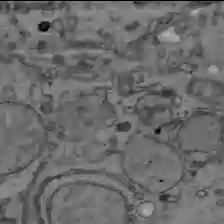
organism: C57BL Mouse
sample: Liver